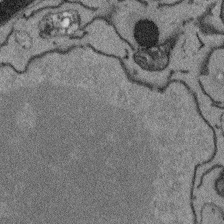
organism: Arabidopsis thaliana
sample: Root tip